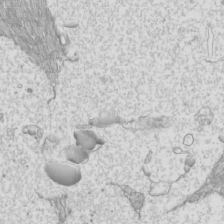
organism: Mouse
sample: Cilia; mouse epididymis